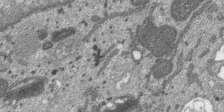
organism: Human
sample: Lung epithelial cells infected with SARS-CoV-2